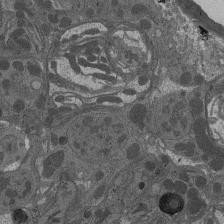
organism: Drosophila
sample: Antenna